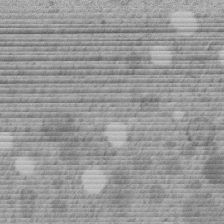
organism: C. elegans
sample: C. elegans embryo early stage